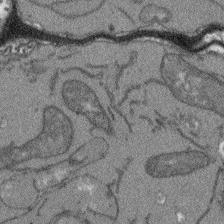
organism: Arabidopsis thaliana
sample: Root tip